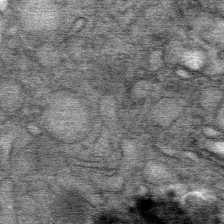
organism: Mouse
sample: Mouse Salivary gland